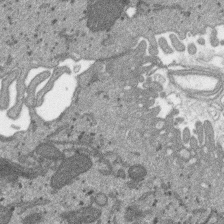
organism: Human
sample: Lung epithelial cells infected with SARS-CoV-2